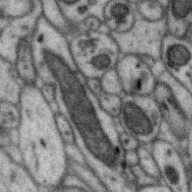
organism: Zebra finch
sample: Brain